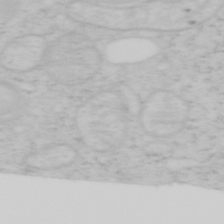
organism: Mouse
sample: OT-I killer T cells with ID8 ovarian cancer cells